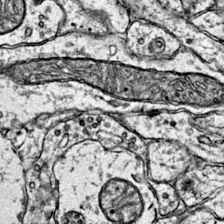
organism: Mouse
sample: Primary visual cortex